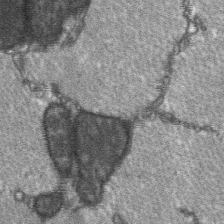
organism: C57BL Mouse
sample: Soleus